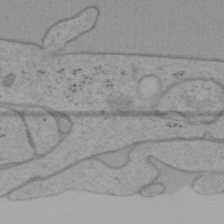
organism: Human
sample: HeLa cells